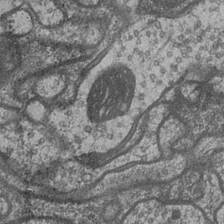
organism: Drosophila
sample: Optic medulla